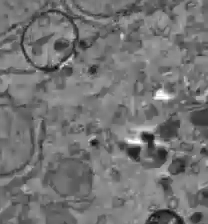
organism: C57BL Mouse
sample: Liver